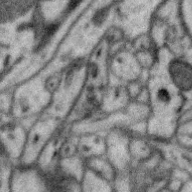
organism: Zebra finch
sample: Brain